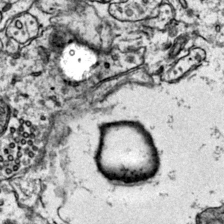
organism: Mouse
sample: Primary visual cortex